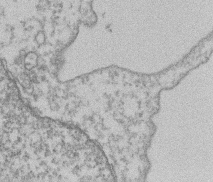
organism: Mouse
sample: T cell stromal cell synapse